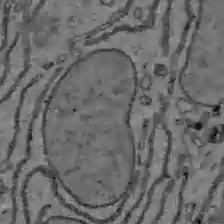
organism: C57BL Mouse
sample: Liver